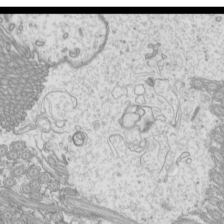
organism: Mouse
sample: Cilia; mouse epididymis